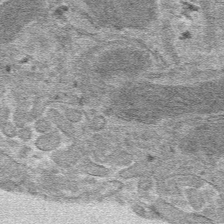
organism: Mouse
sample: Mouse hepatocytes